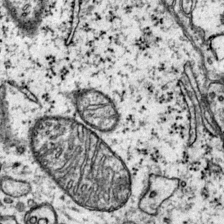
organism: Mouse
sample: Primary visual cortex